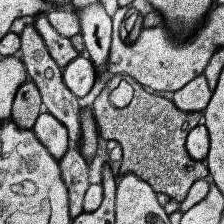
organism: Human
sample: Temporal Lobe